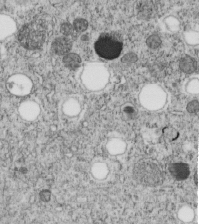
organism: C. elegans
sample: C. elegans embryo early stage